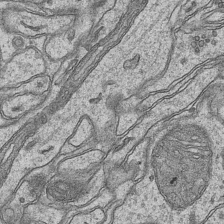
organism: Mouse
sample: CA1 Hippocampus